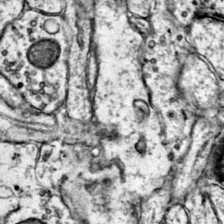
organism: Mouse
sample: Primary visual cortex